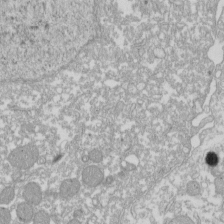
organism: Xenopus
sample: Cilia; centrioles in frog embryo cells